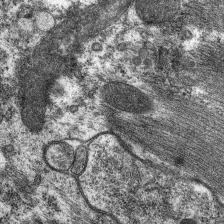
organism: C. elegans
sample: Pharynx